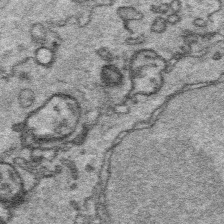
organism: Platynereis dumerilii